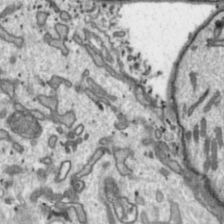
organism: Toxoplasma gondii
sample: Parasites in a vacuole inside a host cell